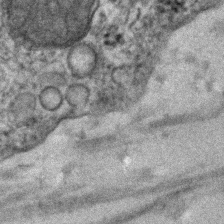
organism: Human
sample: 1205lu cells